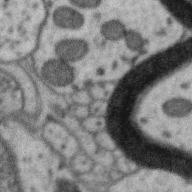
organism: Zebra finch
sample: Brain